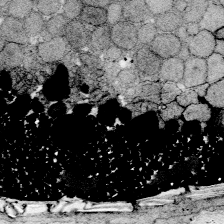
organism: Zebrafish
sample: Whole-Brain